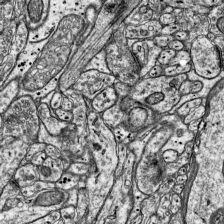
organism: Mouse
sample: Visual Cortex